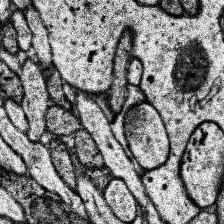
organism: Human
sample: Temporal Lobe